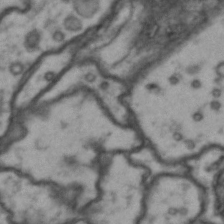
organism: Drosophila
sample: Brain